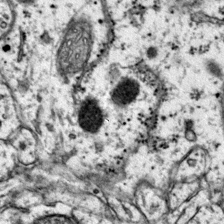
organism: Mouse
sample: Primary visual cortex